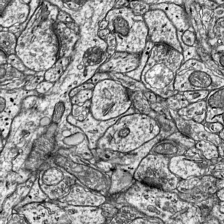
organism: Mouse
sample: Visual Cortex